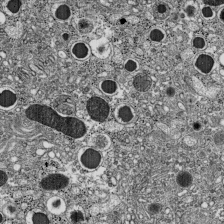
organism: C57BL Mouse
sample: Pancreatic islet